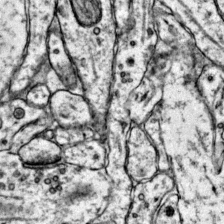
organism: Mouse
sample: Primary visual cortex